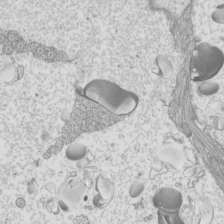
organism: Mouse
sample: Cilia; mouse epididymis